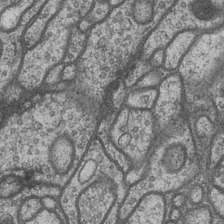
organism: Drosophila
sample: Optic medulla